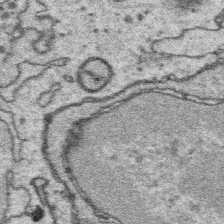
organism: Platynereis dumerilii